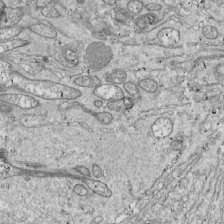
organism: Drosophila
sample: Cell division; meiosis; drosophila spermatocytes